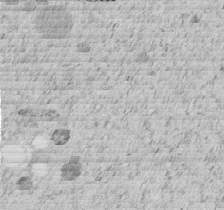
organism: C. elegans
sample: C. elegans embryo early stage